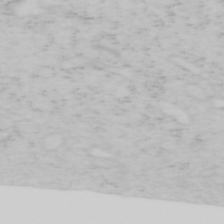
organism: Mouse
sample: OT-I killer T cells with ID8 ovarian cancer cells